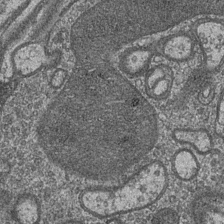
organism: Drosophila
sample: Optic medulla